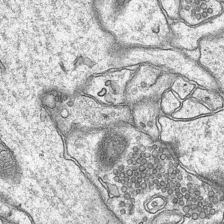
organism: Mouse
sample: CA1 Hippocampus